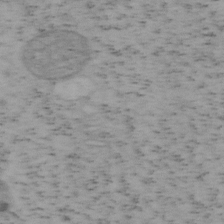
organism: Mouse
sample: OT-I killer T cells with ID8 ovarian cancer cells